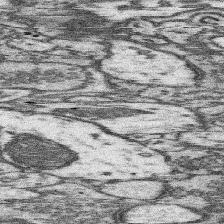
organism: Mouse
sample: Somatosensory cortex neuropil